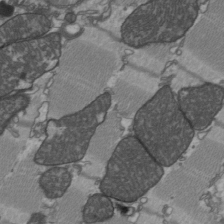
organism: C57BL Mouse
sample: Heart